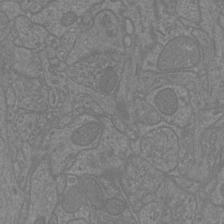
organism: Mouse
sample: Cortical neurons